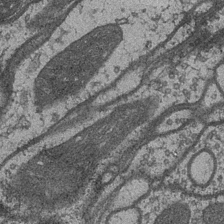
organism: Drosophila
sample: Optic medulla